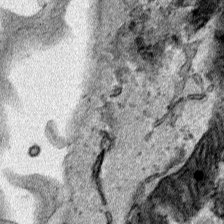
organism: Human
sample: Mitochondria in HCT116 cells